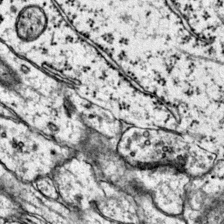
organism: Mouse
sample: Primary visual cortex